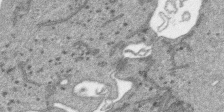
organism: Human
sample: Lung epithelial cells infected with SARS-CoV-2